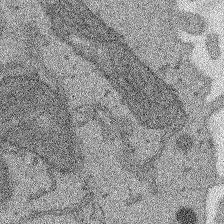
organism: Human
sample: HeLa cells